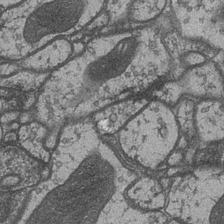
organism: Drosophila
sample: Optic medulla